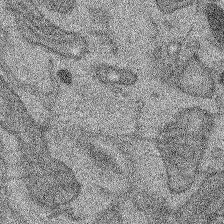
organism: Human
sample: HeLa cells